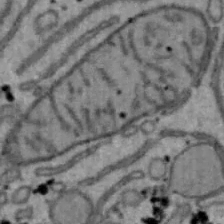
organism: Mouse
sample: Liver